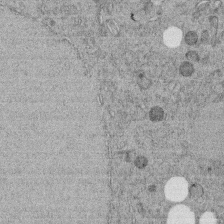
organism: C. elegans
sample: C. elegans embryo early stage